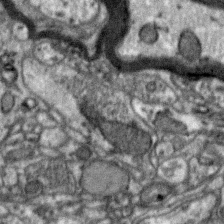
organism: Zebra finch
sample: Brain